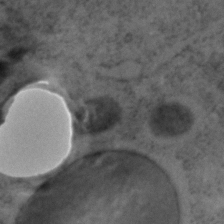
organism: C. elegans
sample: C. elegans embryo